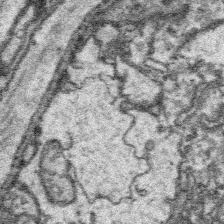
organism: Platynereis dumerilii